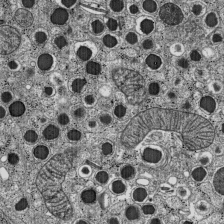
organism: C57BL Mouse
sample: Pancreatic islet